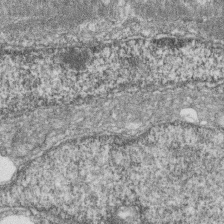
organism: Zebrafish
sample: Cilia; retinal pigment epithelium